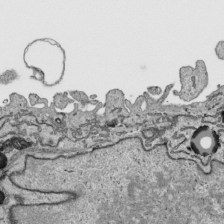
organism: Human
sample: Mitochondria in HCT116 cells